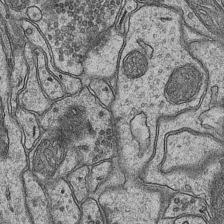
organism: Mouse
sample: CA1 Hippocampus